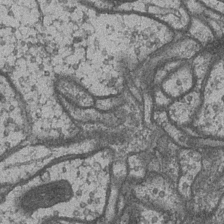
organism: Drosophila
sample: Optic medulla